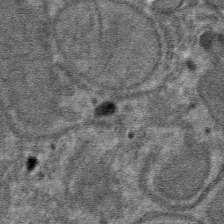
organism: Mouse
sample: Mouse hepatocytes